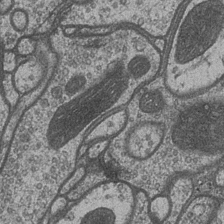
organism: Drosophila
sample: Optic medulla